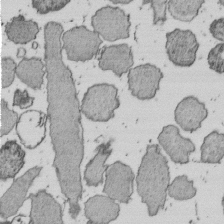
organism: E. coli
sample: Bacterial nucleoid